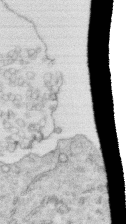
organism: Human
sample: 1205lu cells